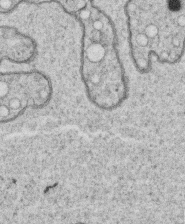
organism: C. elegans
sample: C. elegans oocyte; sperm cells